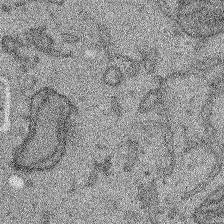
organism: Human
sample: HeLa cells